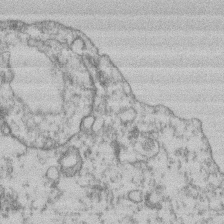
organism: Mouse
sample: T cell stromal cell synapse